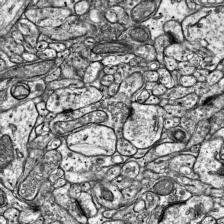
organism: Mouse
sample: Visual Cortex